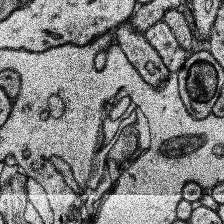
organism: Human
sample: Temporal Lobe